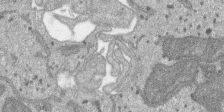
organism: Human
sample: Lung epithelial cells infected with SARS-CoV-2